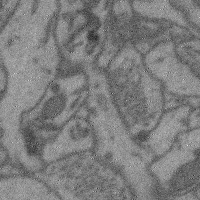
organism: Mouse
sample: Cerebral cortex